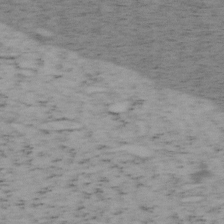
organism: Mouse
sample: OT-I killer T cells with ID8 ovarian cancer cells